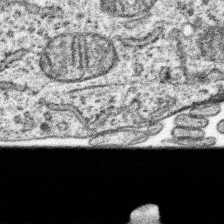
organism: Human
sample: HeLa cells